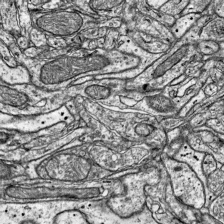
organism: Mouse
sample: Visual Cortex